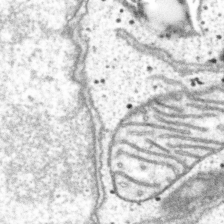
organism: Human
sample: HeLa cells